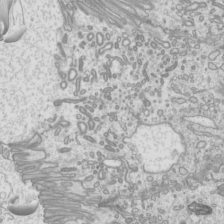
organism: Mouse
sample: Cilia; mouse epididymis